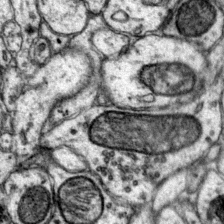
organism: Mouse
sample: Primary visual cortex